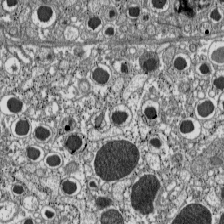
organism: C57BL Mouse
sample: Pancreatic islet